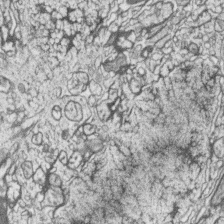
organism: Zebrafish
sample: synaptic ribbons in rod cells and cone cells